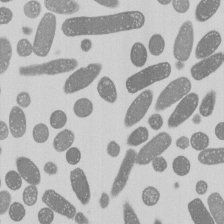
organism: E. coli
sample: Bacterial nucleoid